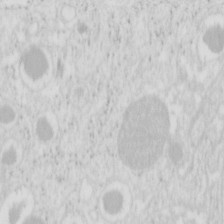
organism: Mouse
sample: Pancreas